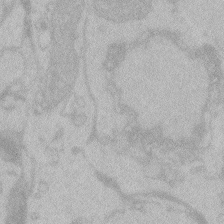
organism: Zebrafish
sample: Macrophage infected with Toxoplasma gondii